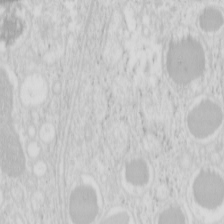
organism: Mouse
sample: Pancreas